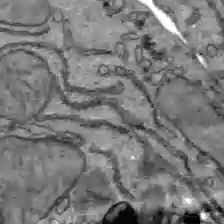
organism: C57BL Mouse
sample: Liver